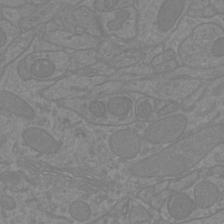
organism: Mouse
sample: Cortical neurons